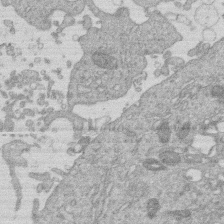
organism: Human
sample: Macrophage cells